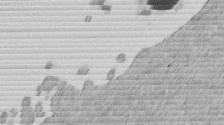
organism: Mouse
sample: Dividing mouse embryo 1 cell stage